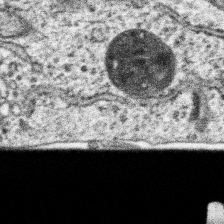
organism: Human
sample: HeLa cells